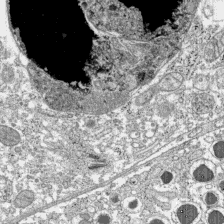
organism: C57BL Mouse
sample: Pancreatic islet